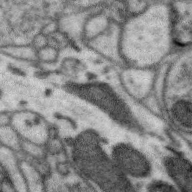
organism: Zebra finch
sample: Brain